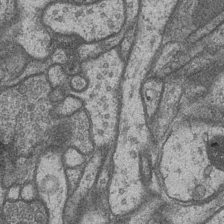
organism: Drosophila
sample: Optic medulla